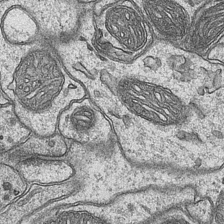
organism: Mouse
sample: CA1 Hippocampus